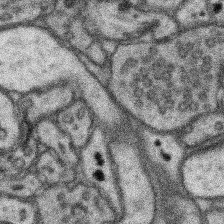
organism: Mouse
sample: Somatosensory cortex neuropil